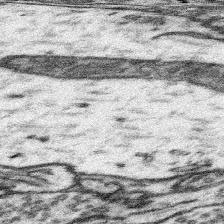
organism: Mouse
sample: Somatosensory cortex neuropil